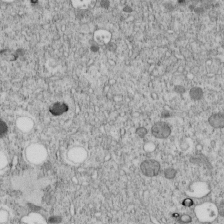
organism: C. elegans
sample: C. elegans embryo early stage